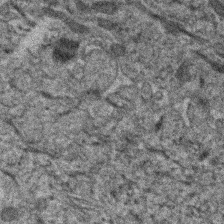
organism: Human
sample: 1205lu cells